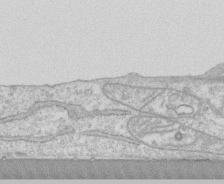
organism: Human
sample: CRL-1474